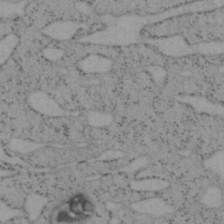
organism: Mouse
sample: OT-I killer T cells with ID8 ovarian cancer cells